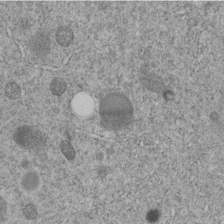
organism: C. elegans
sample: C. elegans embryo early stage